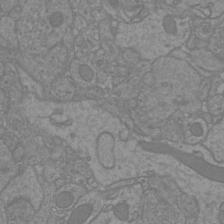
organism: Mouse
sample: Cortical neurons